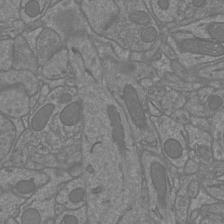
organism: Mouse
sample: Cortical neurons